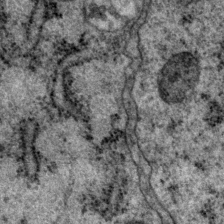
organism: P. pacificus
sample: Pharynx